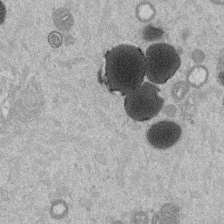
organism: Mouse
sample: Dividing mouse embryo 1 cell stage